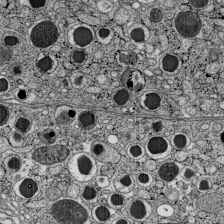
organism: C57BL Mouse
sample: Pancreatic islet